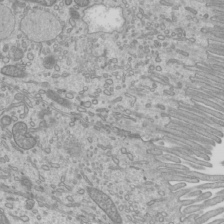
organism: Mouse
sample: Cilia; mouse epididymis